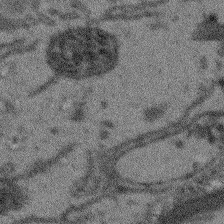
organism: Arabidopsis thaliana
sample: Root tip